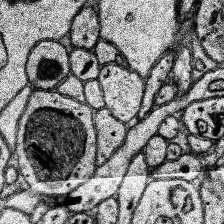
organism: Human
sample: Temporal Lobe